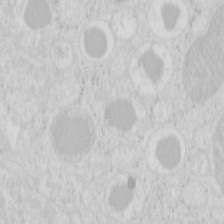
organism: Mouse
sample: Pancreas